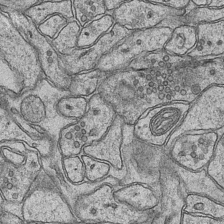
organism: Mouse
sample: CA1 Hippocampus